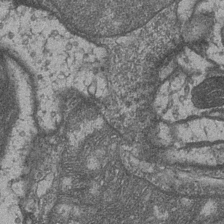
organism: Drosophila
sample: Optic medulla